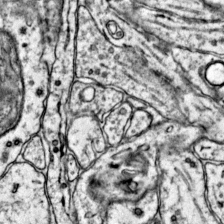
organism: Mouse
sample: Primary visual cortex